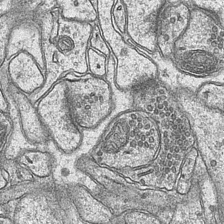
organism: Mouse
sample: CA1 Hippocampus